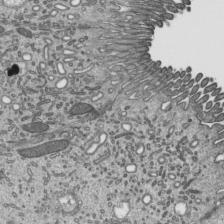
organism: Mouse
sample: Mouse epididymis efferent ductule cilia